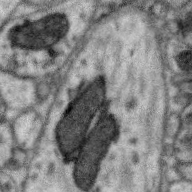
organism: Zebra finch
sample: Brain